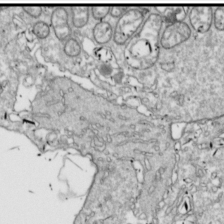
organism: Drosophila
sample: Cell division; meiosis; drosophila spermatocytes